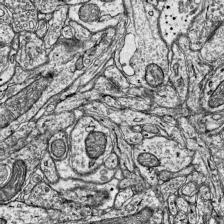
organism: Mouse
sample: Visual Cortex